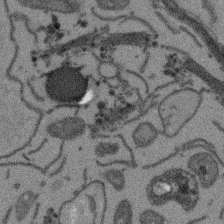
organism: Arabidopsis thaliana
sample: Root tip